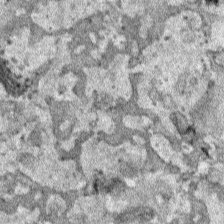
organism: Human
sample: Mitochondria in HCT116 cells